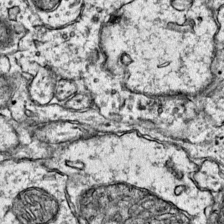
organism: Mouse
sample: Primary visual cortex